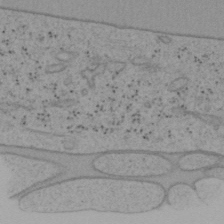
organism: Human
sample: HeLa cells